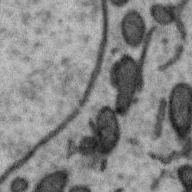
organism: Zebra finch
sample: Brain